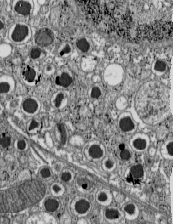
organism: C57BL Mouse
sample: Pancreatic islet